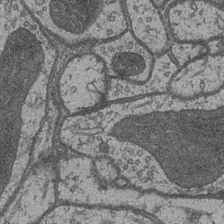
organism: Drosophila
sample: Optic medulla